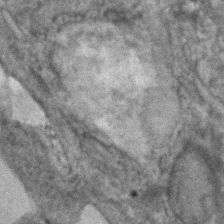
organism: Human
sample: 1205lu cells